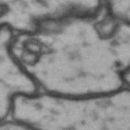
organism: Drosophila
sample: Brain